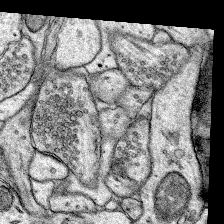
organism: Rat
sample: Hippocampus